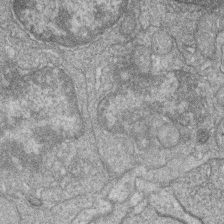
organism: Zebrafish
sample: Cilia; retinal pigment epithelium